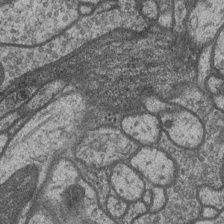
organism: Drosophila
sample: Optic medulla